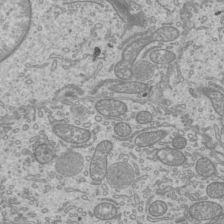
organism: Mouse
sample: Cilia; mouse epididymis